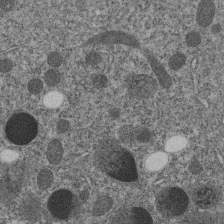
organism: C. elegans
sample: C. elegans embryo early stage